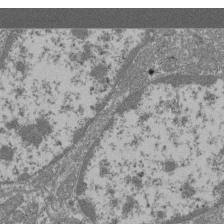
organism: Mouse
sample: Glomerulus